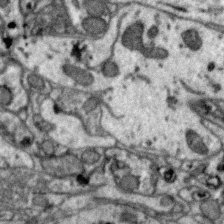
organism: Zebra finch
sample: Brain